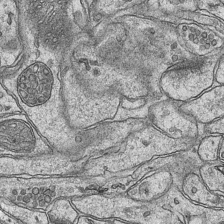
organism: Mouse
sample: CA1 Hippocampus